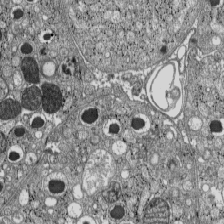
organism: C57BL Mouse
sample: Pancreatic islet